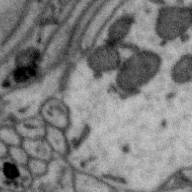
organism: Zebra finch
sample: Brain